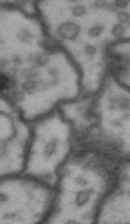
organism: Drosophila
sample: Brain